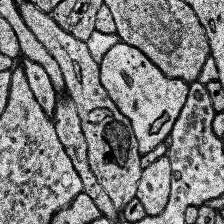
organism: Human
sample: Temporal Lobe